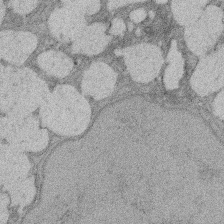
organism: Rat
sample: Salivary granule